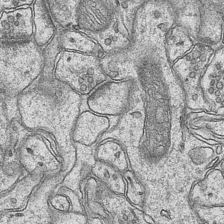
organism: Mouse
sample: CA1 Hippocampus